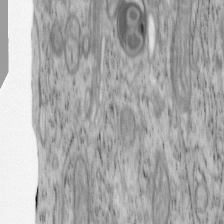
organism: Human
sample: HeLa cells